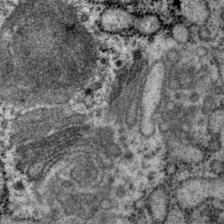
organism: P. pacificus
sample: Pharynx